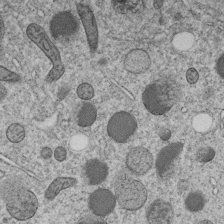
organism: C. elegans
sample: C. elegans embryo early stage